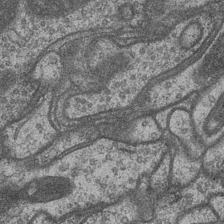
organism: Drosophila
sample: Optic medulla